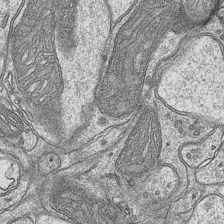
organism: Mouse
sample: CA1 Hippocampus